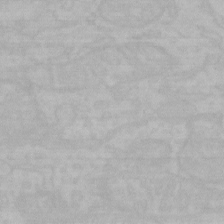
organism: Mouse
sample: Choroid plexus